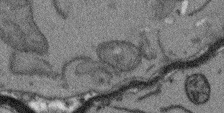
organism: Arabidopsis thaliana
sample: Root tip